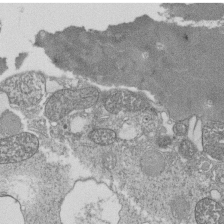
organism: Tetrahymena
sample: Cilia in tetrahymena